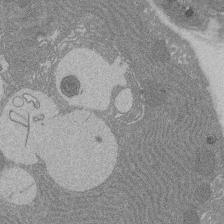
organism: Rat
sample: Salivary granule